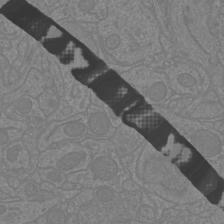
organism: Mouse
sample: Cortical neurons